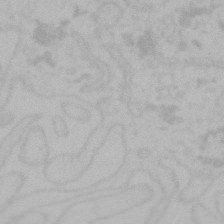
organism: Mouse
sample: Choroid plexus